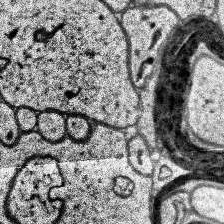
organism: Human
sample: Temporal Lobe